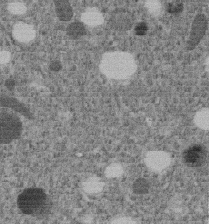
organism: C. elegans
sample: C. elegans embryo early stage